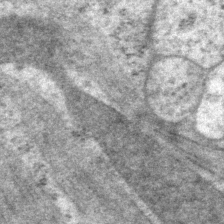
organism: P. pacificus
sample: Pharynx